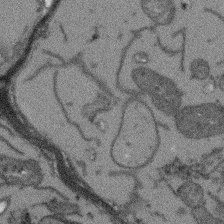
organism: Arabidopsis thaliana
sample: Root tip